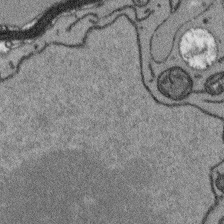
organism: Arabidopsis thaliana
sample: Root tip